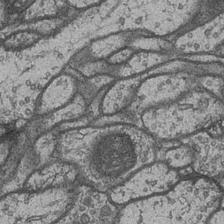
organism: Drosophila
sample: Optic medulla